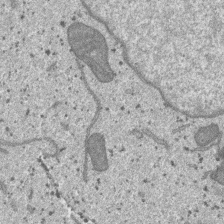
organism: Human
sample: Lung epithelial cells infected with SARS-CoV-2